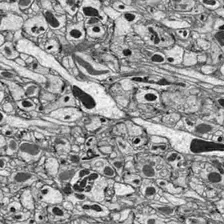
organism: Drosophila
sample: Optic lobe